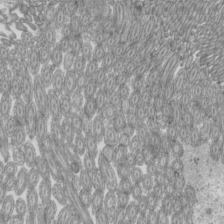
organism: Mouse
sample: Cilia; mouse epididymis